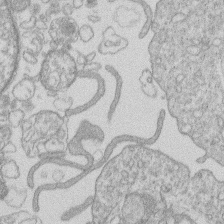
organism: Human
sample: Macrophage cells